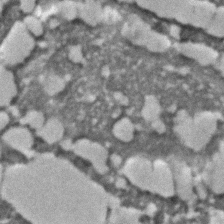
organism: C. elegans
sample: C. elegans embryo